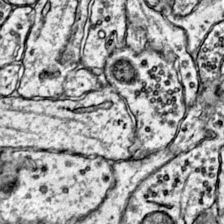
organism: Mouse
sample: Primary visual cortex